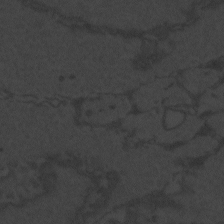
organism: Zebrafish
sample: Macrophage infected with Toxoplasma gondii